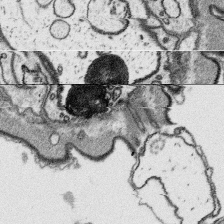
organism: Platynereis dumerilii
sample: Parapodia